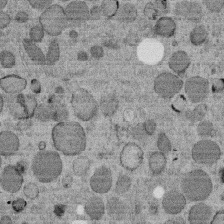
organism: C. elegans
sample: C. elegans embryo early stage